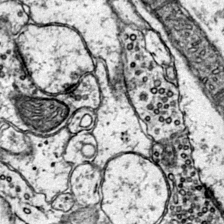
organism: Mouse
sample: Primary visual cortex